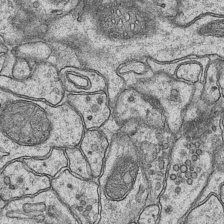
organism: Mouse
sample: CA1 Hippocampus